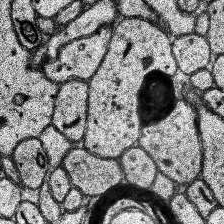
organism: Human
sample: Temporal Lobe